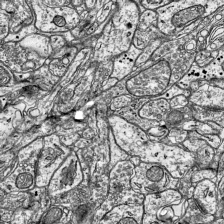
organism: Mouse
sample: Visual Cortex